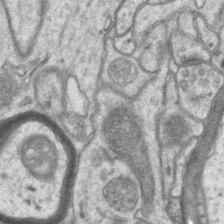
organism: Mouse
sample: CA1 Hippocampus